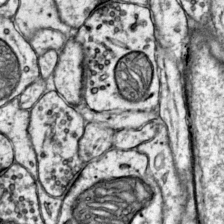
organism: Mouse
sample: Primary visual cortex